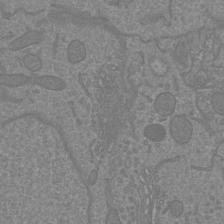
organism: Mouse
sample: Cortical neurons